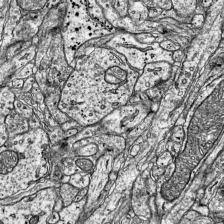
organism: Mouse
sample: Visual Cortex